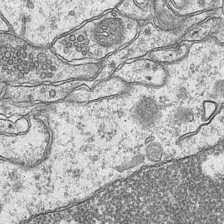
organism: Mouse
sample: CA1 Hippocampus